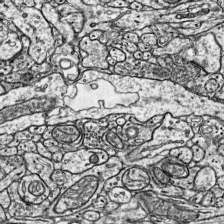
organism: Mouse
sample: Visual Cortex